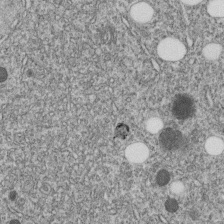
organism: C. elegans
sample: C. elegans embryo early stage